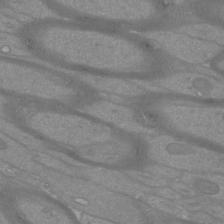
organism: Mouse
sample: Cortical neurons